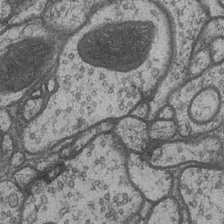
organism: Drosophila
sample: Optic medulla